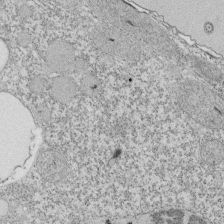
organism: Tetrahymena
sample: Cilia in tetrahymena